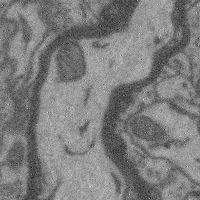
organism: Mouse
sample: Cerebral cortex